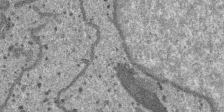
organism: Human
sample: Lung epithelial cells infected with SARS-CoV-2